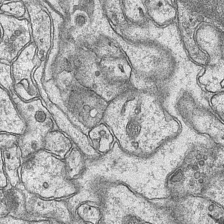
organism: Mouse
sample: CA1 Hippocampus